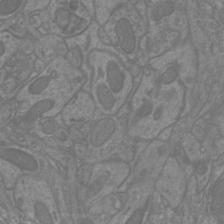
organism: Mouse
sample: Cortical neurons